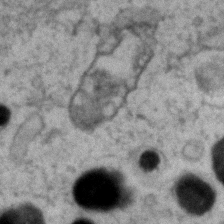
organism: Zebrafish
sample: Zebrafish embryo